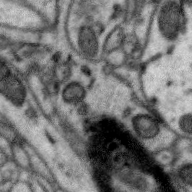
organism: Zebra finch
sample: Brain